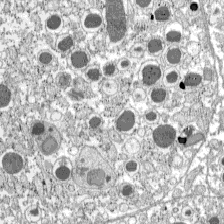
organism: C57BL Mouse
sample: Pancreatic islet